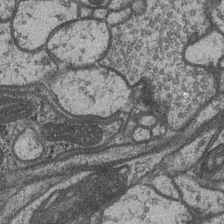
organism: Drosophila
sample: Optic medulla